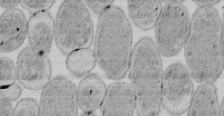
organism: E. coli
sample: Bacterial nucleoid